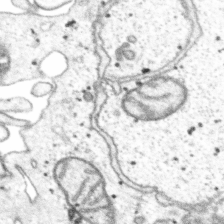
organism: Human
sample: HeLa cells